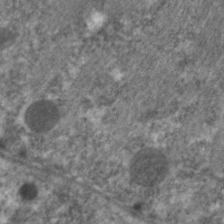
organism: C. elegans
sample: Pharynx